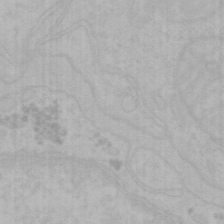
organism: Mouse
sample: Choroid plexus